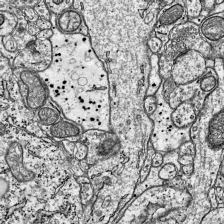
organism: Mouse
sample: Visual Cortex